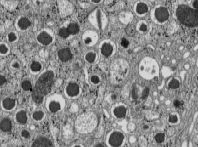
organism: C57BL Mouse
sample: Pancreatic islet